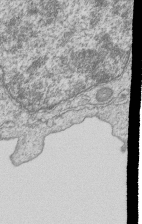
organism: Human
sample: MDA-MB-231 cells